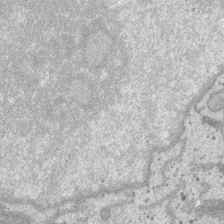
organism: Human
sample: Lung epithelial cells infected with SARS-CoV-2